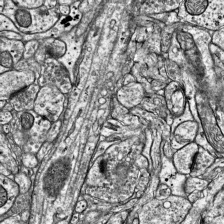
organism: Mouse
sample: Visual Cortex